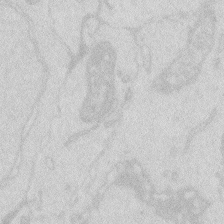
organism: Zebrafish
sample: Macrophage